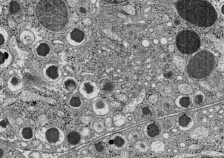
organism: C57BL Mouse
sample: Pancreatic islet